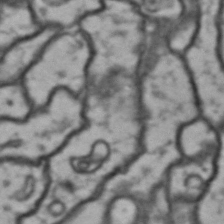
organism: Drosophila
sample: Brain